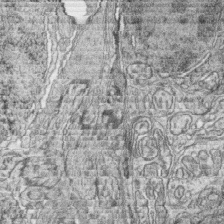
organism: Zebrafish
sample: synaptic ribbons in rod cells and cone cells